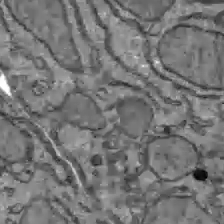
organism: C57BL Mouse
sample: Liver